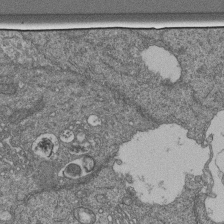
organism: Human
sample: Retinal organoid Rod and Cone cells